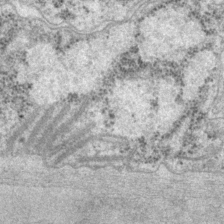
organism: P. pacificus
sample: Pharynx